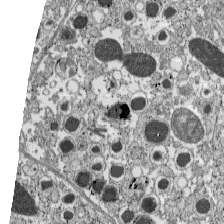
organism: C57BL Mouse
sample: Pancreatic islet